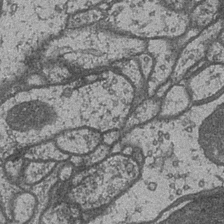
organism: Drosophila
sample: Optic medulla